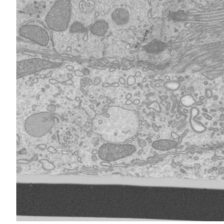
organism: Mouse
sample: Cilia; mouse epididymis